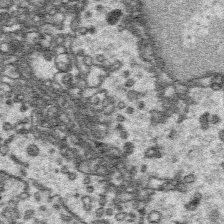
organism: Platynereis dumerilii